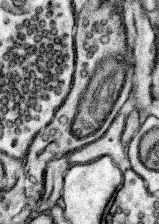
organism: Mouse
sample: Somatosensory cortex neuropil